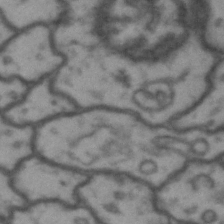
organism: Drosophila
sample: Brain